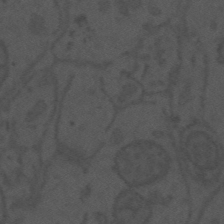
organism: Mouse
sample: Suprachiasmatic nucleus